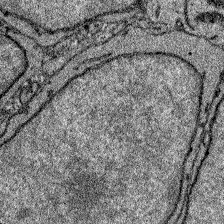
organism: Zebrafish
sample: Larval olfactory bulb